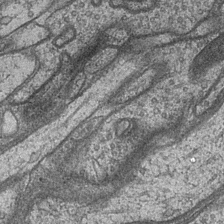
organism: Drosophila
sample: Optic medulla